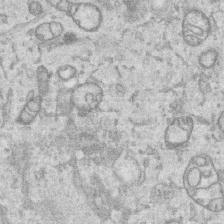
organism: Human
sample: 1205lu cells